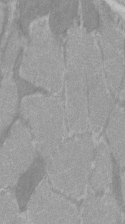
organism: C57BL Mouse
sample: Tibialis anterior muscle cell